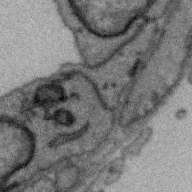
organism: Zebra finch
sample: Brain